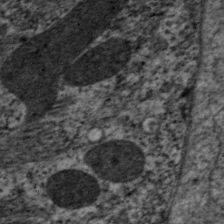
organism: C. elegans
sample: Pharynx